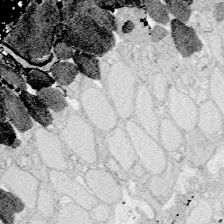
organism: Zebrafish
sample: Whole-Brain